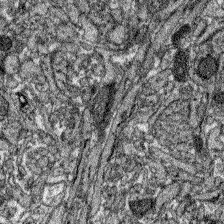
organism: Zebrafish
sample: Larval olfactory bulb